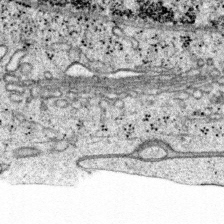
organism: Human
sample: HeLa cells